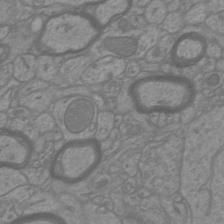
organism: Mouse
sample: Cortical neurons